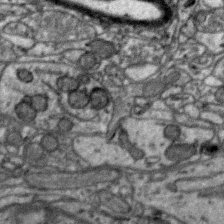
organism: Zebra finch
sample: Brain